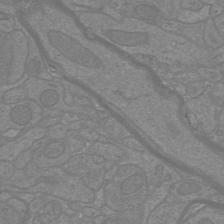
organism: Mouse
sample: Cortical neurons